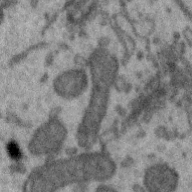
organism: Zebra finch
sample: Brain